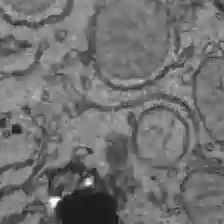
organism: C57BL Mouse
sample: Liver